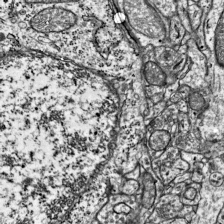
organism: Mouse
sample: Visual Cortex